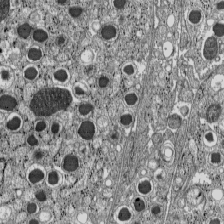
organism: C57BL Mouse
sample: Pancreatic islet